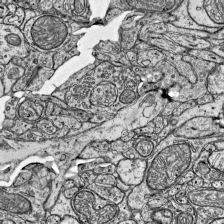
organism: Mouse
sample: Visual Cortex